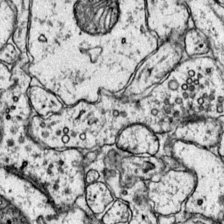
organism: Mouse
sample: Primary visual cortex